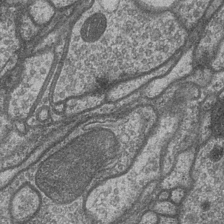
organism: Drosophila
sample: Optic medulla